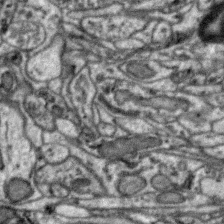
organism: Zebra finch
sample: Brain